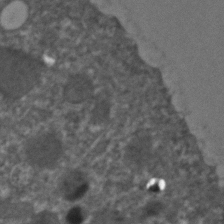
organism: C. elegans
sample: C. elegans embryo